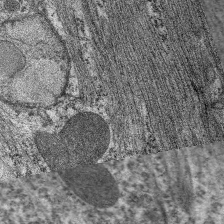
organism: C. elegans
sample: Pharynx